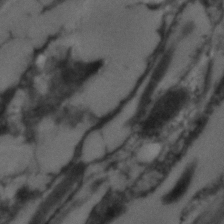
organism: C. elegans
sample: C. elegans embryo